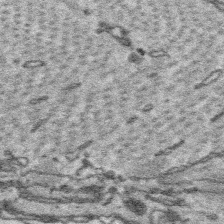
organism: Platynereis dumerilii